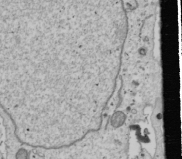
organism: Human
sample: Mitochondria in U2OS cells